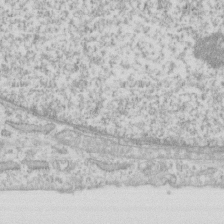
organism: Human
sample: Fibroblast cells